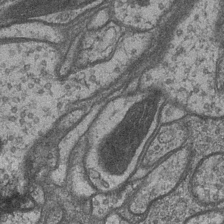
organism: Drosophila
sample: Optic medulla